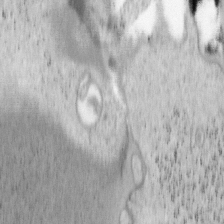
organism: Human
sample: HeLa cells